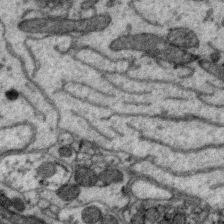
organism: Zebra finch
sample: Brain